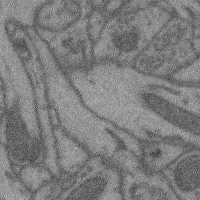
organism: Mouse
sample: Cerebral cortex